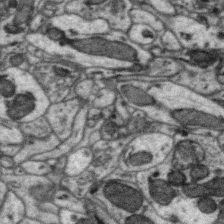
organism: Zebra finch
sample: Brain